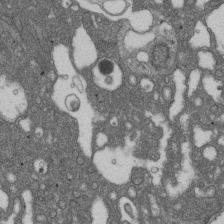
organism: Drosophila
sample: Nephrocyte